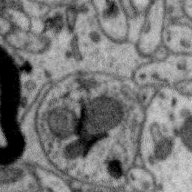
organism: Zebra finch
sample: Brain